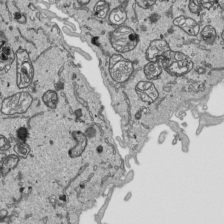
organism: Human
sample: Mitochondria in HCT116 cells